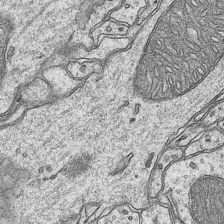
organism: Mouse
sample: CA1 Hippocampus